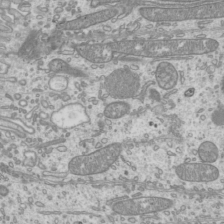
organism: Mouse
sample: Cilia; mouse epididymis